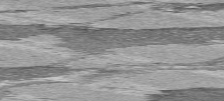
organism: C57BL Mouse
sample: Heart